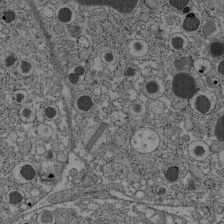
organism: C57BL Mouse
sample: Pancreatic islet